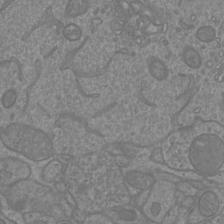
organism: Mouse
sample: Cortical neurons